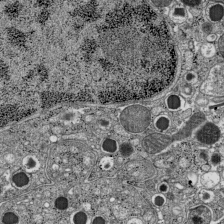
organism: C57BL Mouse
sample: Pancreatic islet